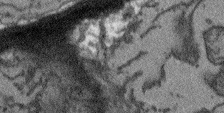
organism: Arabidopsis thaliana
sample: Root tip